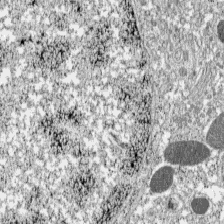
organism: C57BL Mouse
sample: Pancreatic islet